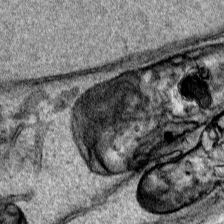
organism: Human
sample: Mitochondria in HCT116 cells